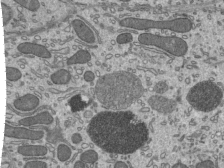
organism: Mouse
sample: Mouse epididymis efferent ductule cilia